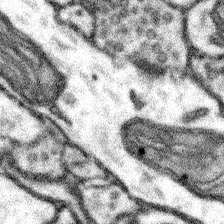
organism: Mouse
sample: Somatosensory cortex neuropil